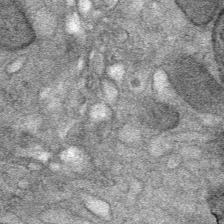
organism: Mouse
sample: Mouse Salivary gland